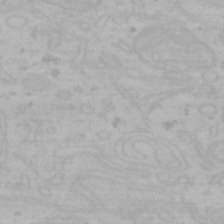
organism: Mouse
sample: Choroid plexus